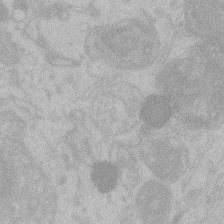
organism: Zebrafish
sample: Macrophage infected with Toxoplasma gondii